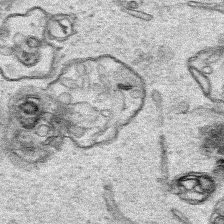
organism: Human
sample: Mitochondria in HCT116 cells